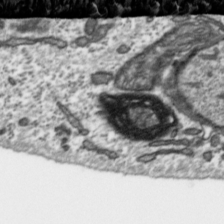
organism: Toxoplasma gondii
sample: Parasites in a vacuole inside a host cell